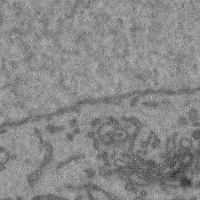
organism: Mouse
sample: Cerebral cortex